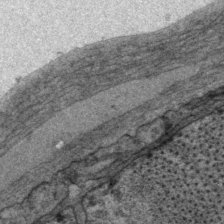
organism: P. pacificus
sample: Pharynx